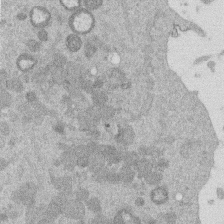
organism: Mouse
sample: Dividing mouse embryo 1 cell stage